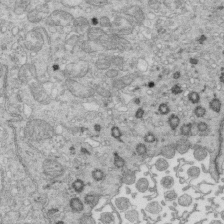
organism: Mouse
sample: Multiciliated cells